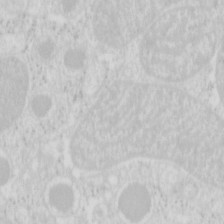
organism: Mouse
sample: Pancreas